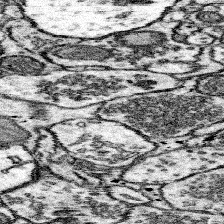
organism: Mouse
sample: Somatosensory cortex neuropil